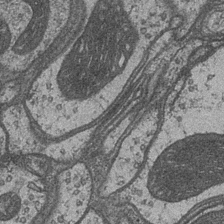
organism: Drosophila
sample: Optic medulla